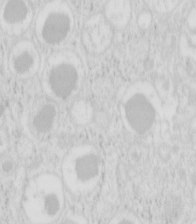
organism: Mouse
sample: Pancreas